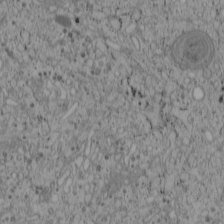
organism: African green monkey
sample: COS-7 cells